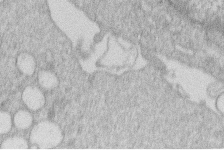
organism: Human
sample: Macrophage cells